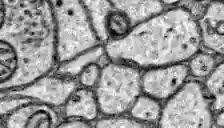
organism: Zebrafish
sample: Brain